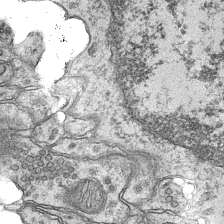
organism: Mouse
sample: CA1 Hippocampus